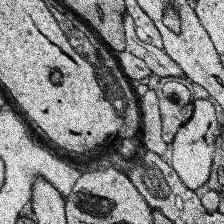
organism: Human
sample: Temporal Lobe